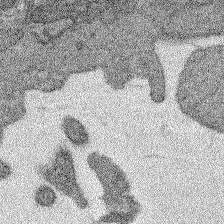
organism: Human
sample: HeLa cells